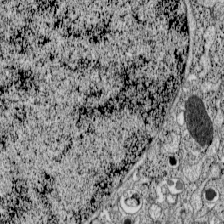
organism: C57BL Mouse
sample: Pancreatic islet